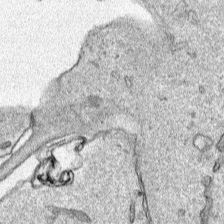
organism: Human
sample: Mitochondria in HCT116 cells